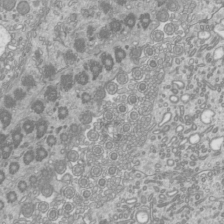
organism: Mouse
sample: Cilia; mouse epididymis